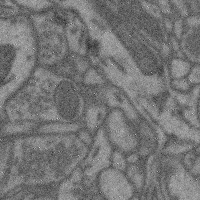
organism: Mouse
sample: Cerebral cortex